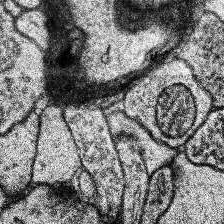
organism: Human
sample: Temporal Lobe